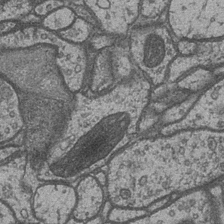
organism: Drosophila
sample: Optic medulla